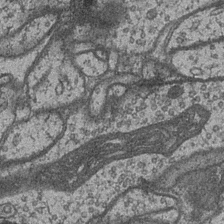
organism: Drosophila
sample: Optic medulla